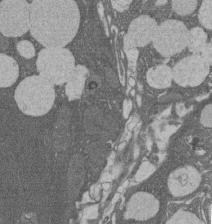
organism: Rat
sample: Salivary granule